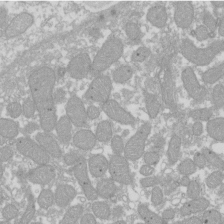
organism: Xenopus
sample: Cilia; centrioles in frog embryo cells